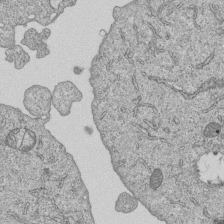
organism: Human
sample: MDA-MB-231 cells